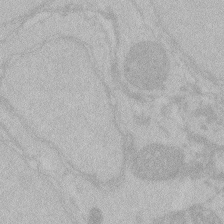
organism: Zebrafish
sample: Macrophage infected with Toxoplasma gondii